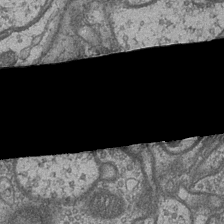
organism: Drosophila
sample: Optic medulla